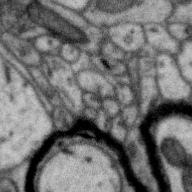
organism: Zebra finch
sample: Brain